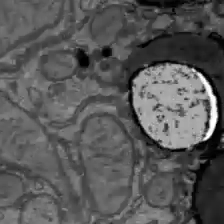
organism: C57BL Mouse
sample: Liver